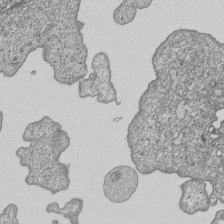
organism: Human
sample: MDA-MB-231 cells